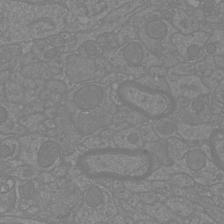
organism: Mouse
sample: Cortical neurons